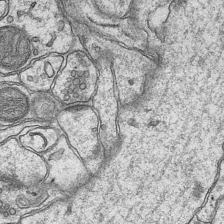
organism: Mouse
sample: CA1 Hippocampus